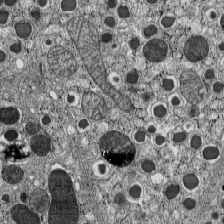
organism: C57BL Mouse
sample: Pancreatic islet